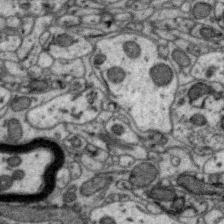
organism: Zebra finch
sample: Brain